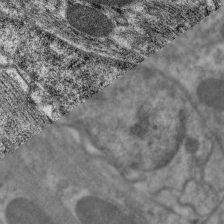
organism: C. elegans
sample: Pharynx